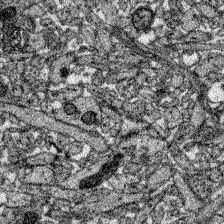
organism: Zebrafish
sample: Larval olfactory bulb